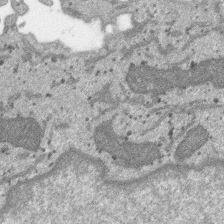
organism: Human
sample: Lung epithelial cells infected with SARS-CoV-2